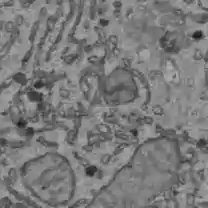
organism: C57BL Mouse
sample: Liver